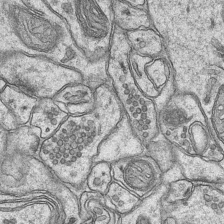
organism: Mouse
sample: CA1 Hippocampus